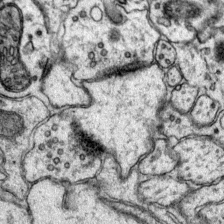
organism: Mouse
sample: Primary visual cortex